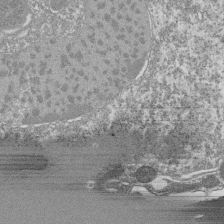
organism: Tetrahymena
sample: Cilia in tetrahymena